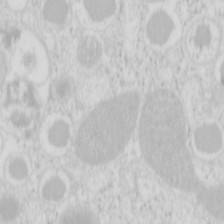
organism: Mouse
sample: Pancreas